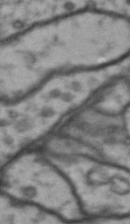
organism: Drosophila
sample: Brain